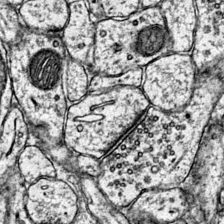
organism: Mouse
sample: Primary visual cortex